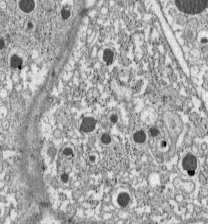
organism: C57BL Mouse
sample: Pancreatic islet